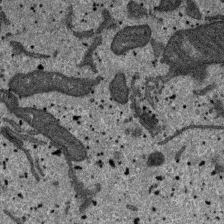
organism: Human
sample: Lung epithelial cells, uninfected (mock) control